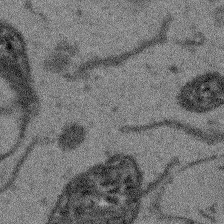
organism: Arabidopsis thaliana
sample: Root tip